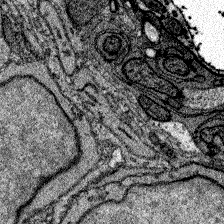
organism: Zebrafish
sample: Larval olfactory bulb